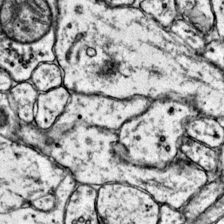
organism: Mouse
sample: Primary visual cortex